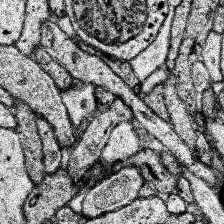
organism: Human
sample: Temporal Lobe